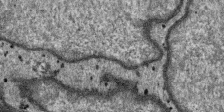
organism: Human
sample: Lung epithelial cells, uninfected (mock) control